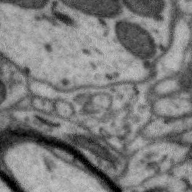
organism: Zebra finch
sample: Brain